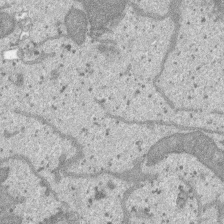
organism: Human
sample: Lung epithelial cells infected with SARS-CoV-2